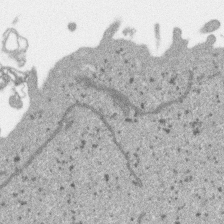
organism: Human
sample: Lung epithelial cells infected with SARS-CoV-2